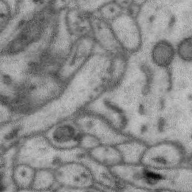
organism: Zebra finch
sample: Brain